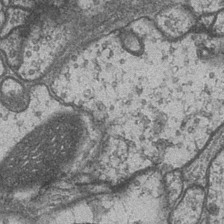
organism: Drosophila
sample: Optic medulla